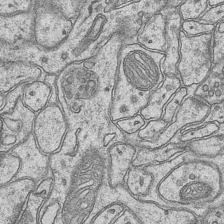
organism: Mouse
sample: CA1 Hippocampus